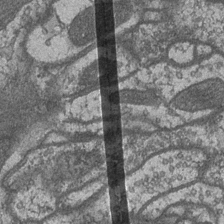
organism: Drosophila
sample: Optic medulla